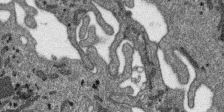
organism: Human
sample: Lung epithelial cells infected with SARS-CoV-2